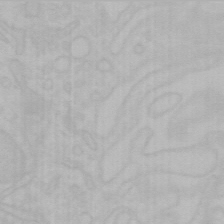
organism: Mouse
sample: Choroid plexus